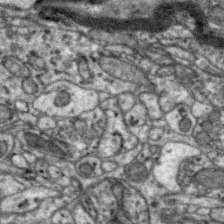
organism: Zebra finch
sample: Brain